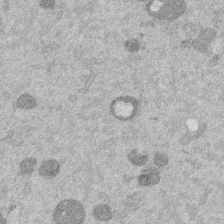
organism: Mouse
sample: Dividing mouse embryo 1 cell stage